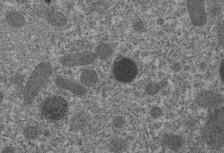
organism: C. elegans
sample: C. elegans embryo early stage